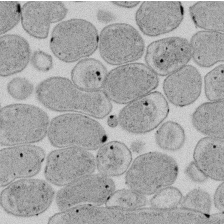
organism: E. coli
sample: Bacterial nucleoid